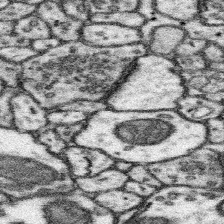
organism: Mouse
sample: Somatosensory cortex neuropil